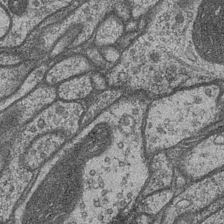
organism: Drosophila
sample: Optic medulla